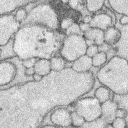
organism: Rabbit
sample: Retina